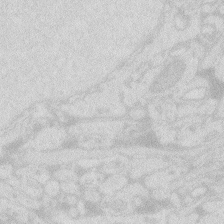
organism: Zebrafish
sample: Macrophage